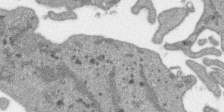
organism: Human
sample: Lung epithelial cells infected with SARS-CoV-2